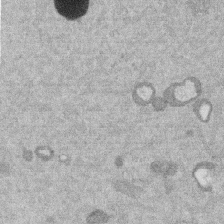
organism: Mouse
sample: Dividing mouse embryo 1 cell stage